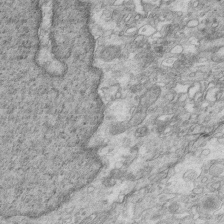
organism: Mouse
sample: Multiciliated cells